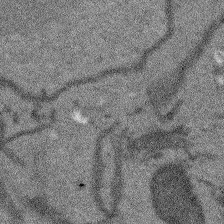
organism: Arabidopsis thaliana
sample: Root tip